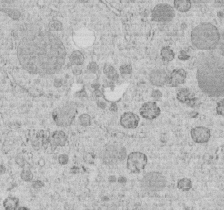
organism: C. elegans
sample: C. elegans embryo early stage